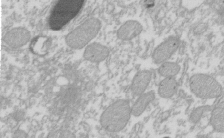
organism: Xenopus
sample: Cilia; centrioles in frog embryo cells